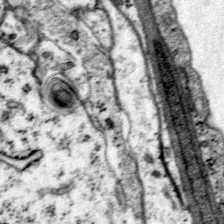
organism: Mouse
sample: Primary visual cortex